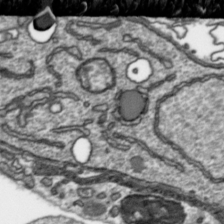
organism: Toxoplasma gondii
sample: Parasites in a vacuole inside a host cell